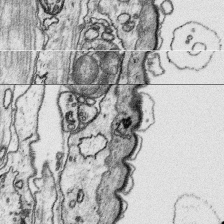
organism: Platynereis dumerilii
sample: Parapodia